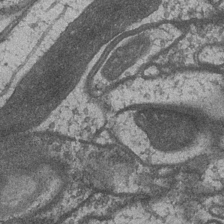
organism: Drosophila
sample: Optic medulla